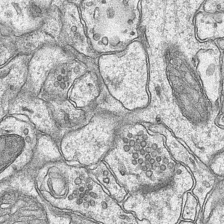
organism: Mouse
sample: CA1 Hippocampus